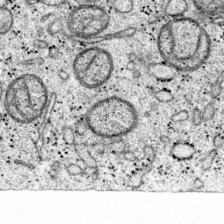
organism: Human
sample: HeLa cells